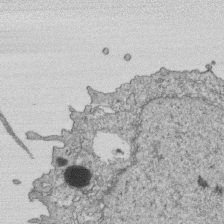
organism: Human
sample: HeLa cell HIV synapse